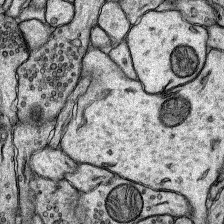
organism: Rat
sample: Hippocampus